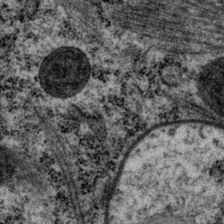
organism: P. pacificus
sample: Pharynx